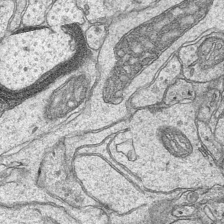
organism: Mouse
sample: CA1 Hippocampus